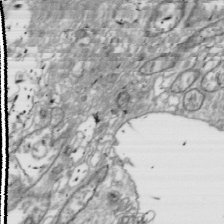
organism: Drosophila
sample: Cell division; meiosis; drosophila spermatocytes